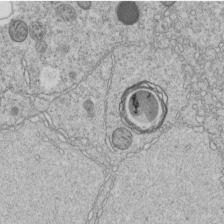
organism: C. elegans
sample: C. elegans embryo early stage